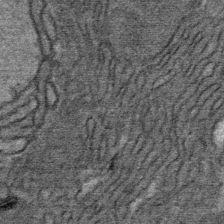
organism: Mouse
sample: Mouse Salivary gland